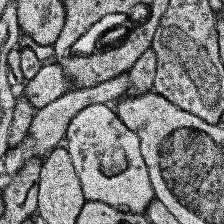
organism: Human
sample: Temporal Lobe